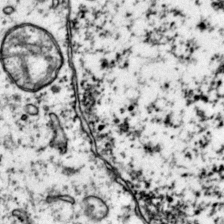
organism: Mouse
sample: Primary visual cortex